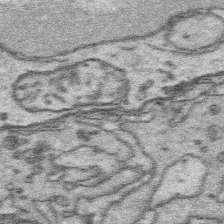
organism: Platynereis dumerilii